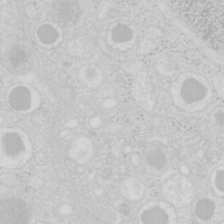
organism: Mouse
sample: Pancreas